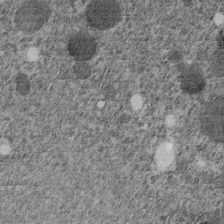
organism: C. elegans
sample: C. elegans embryo early stage